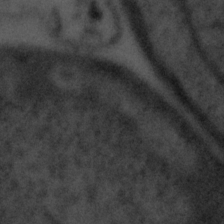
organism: Tuwongella immobilis